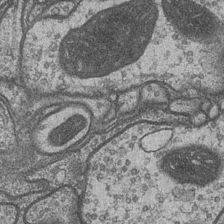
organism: Drosophila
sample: Optic medulla